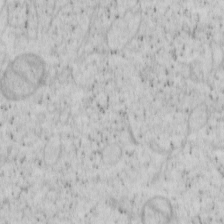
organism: Human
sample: HeLa cells